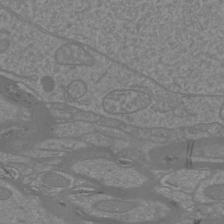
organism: Mouse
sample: Cortical neurons